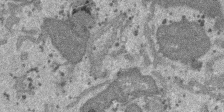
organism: Human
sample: Lung epithelial cells infected with SARS-CoV-2